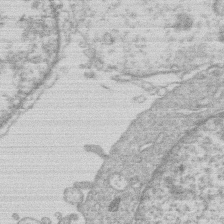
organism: Human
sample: Macrophage cells